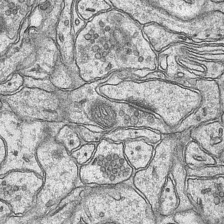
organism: Mouse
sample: CA1 Hippocampus